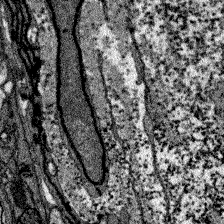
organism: Zebrafish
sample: Larval olfactory bulb